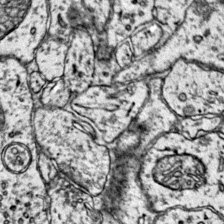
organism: Mouse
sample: Primary visual cortex